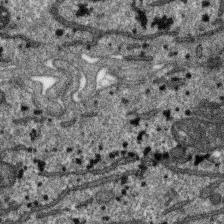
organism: Human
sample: Lung epithelial cells infected with SARS-CoV-2